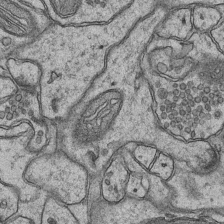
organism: Mouse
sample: CA1 Hippocampus